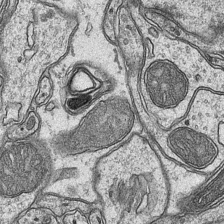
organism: Mouse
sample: CA1 Hippocampus